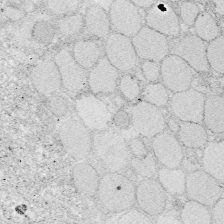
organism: Zebrafish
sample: Whole-Brain